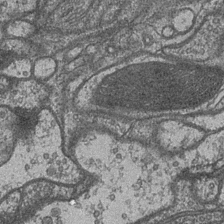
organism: Drosophila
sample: Optic medulla